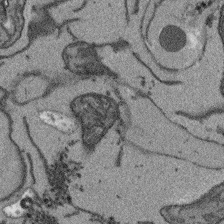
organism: Arabidopsis thaliana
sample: Root tip